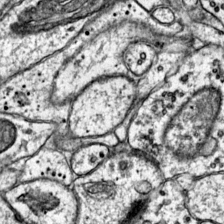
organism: Mouse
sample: Primary visual cortex